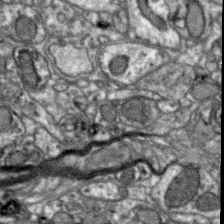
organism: Zebra finch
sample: Brain